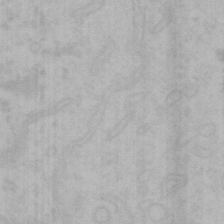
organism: Mouse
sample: Choroid plexus